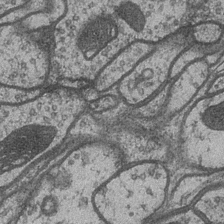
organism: Drosophila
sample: Optic medulla